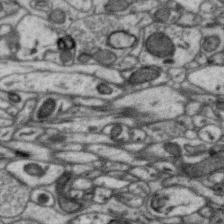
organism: Zebra finch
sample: Brain